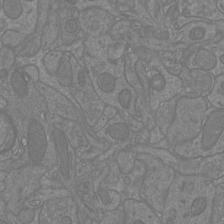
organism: Mouse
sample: Cortical neurons